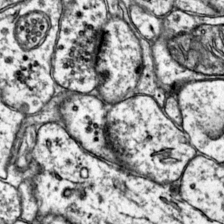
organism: Mouse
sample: Primary visual cortex